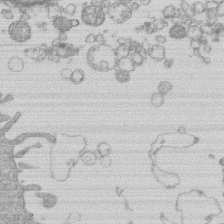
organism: Human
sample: Macrophage cells